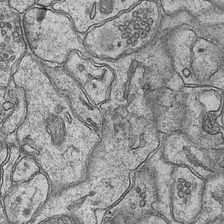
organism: Mouse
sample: CA1 Hippocampus